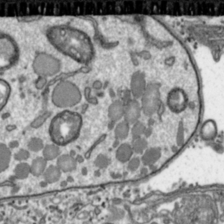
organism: Toxoplasma gondii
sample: Parasites in a vacuole inside a host cell